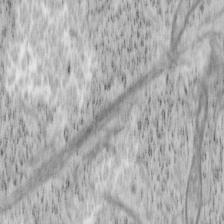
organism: Human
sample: HeLa cells